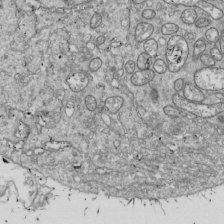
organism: Drosophila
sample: Cell division; meiosis; drosophila spermatocytes